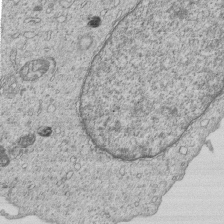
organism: Human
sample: MDA-MB-231 cells